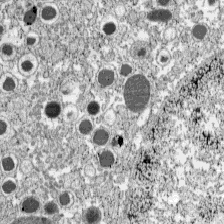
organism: C57BL Mouse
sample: Pancreatic islet